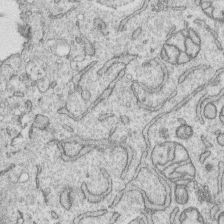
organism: Human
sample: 1205lu cells